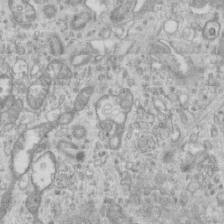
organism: Mouse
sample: Centriole in ependymal cells